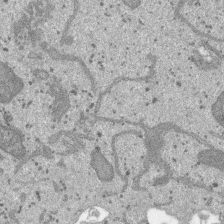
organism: Human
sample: Lung epithelial cells infected with SARS-CoV-2